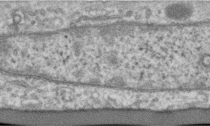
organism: Human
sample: Centriole in RPE cells